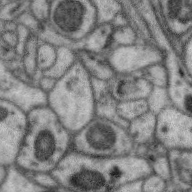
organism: Zebra finch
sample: Brain